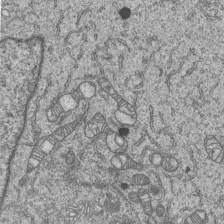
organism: Human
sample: MDA-MB-231 cells